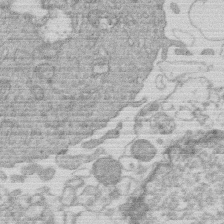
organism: Human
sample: Macrophage cells